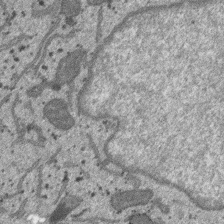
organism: Human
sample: Lung epithelial cells infected with SARS-CoV-2